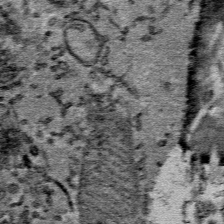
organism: Mouse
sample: Mouse Salivary gland